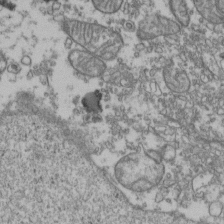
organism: Human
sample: Activated Jurkat CD4+ T cells